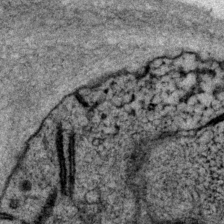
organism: P. pacificus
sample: Pharynx